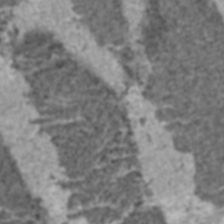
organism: C57BL Mouse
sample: Heart